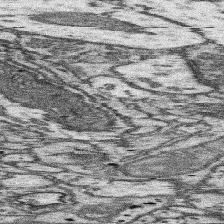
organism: Mouse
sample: Somatosensory cortex neuropil